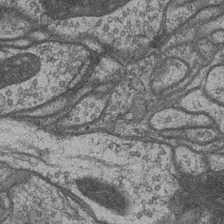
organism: Drosophila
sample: Optic medulla